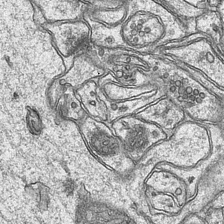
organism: Mouse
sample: CA1 Hippocampus